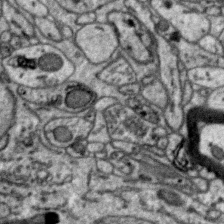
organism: Zebra finch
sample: Brain